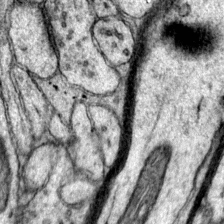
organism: Mouse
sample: Primary visual cortex